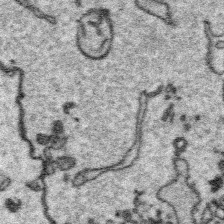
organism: Platynereis dumerilii